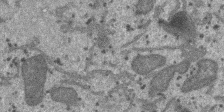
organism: Human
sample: Lung epithelial cells infected with SARS-CoV-2